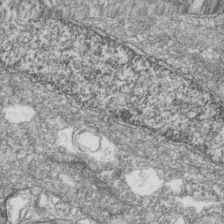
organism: Zebrafish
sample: Cilia; retinal pigment epithelium